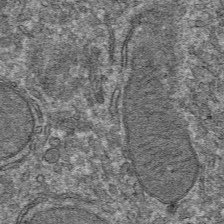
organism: Mouse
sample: Mouse hepatocytes